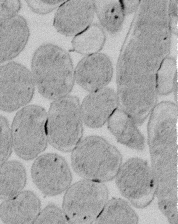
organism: E. coli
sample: Bacterial nucleoid